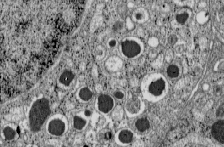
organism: C57BL Mouse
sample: Pancreatic islet